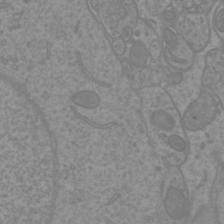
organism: Mouse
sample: Cortical neurons